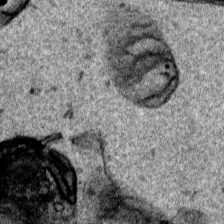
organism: Human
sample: Mitochondria in HCT116 cells